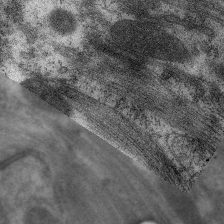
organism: C. elegans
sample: Pharynx